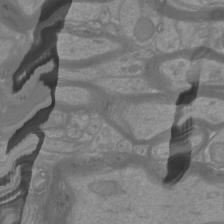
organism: Mouse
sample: Cortical neurons